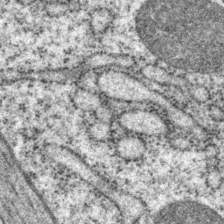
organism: P. pacificus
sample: Pharynx